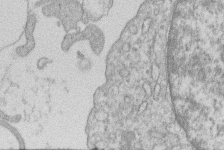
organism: Human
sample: Macrophage cells